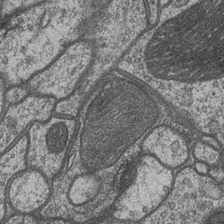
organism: Drosophila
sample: Optic medulla